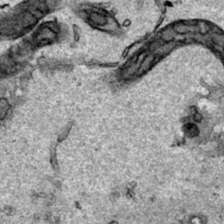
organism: Human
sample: Mitochondria in HCT116 cells